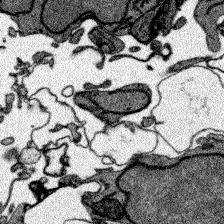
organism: Zebrafish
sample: Larval olfactory bulb